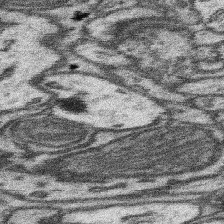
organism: Mouse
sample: Somatosensory cortex neuropil